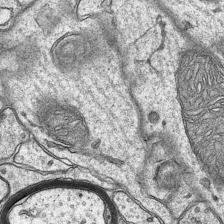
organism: Mouse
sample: CA1 Hippocampus